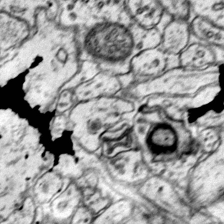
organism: Mouse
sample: Primary visual cortex